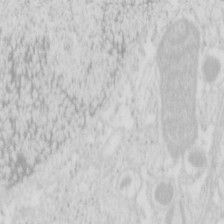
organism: Mouse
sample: Pancreas